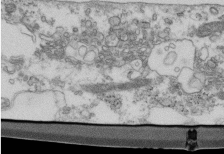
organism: Mouse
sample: Cilia; retinal pigment epithelium